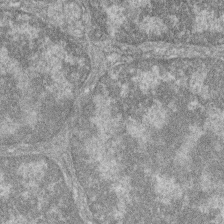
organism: Zebrafish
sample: Cilia; retinal pigment epithelium